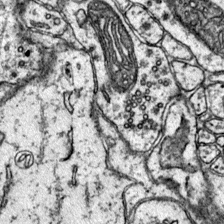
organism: Mouse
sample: Primary visual cortex